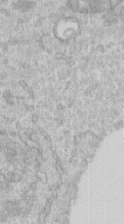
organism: Human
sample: Centriole in RPE cells